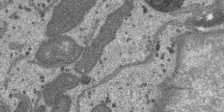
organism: Human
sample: Lung epithelial cells infected with SARS-CoV-2